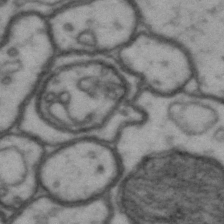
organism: Drosophila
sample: Brain